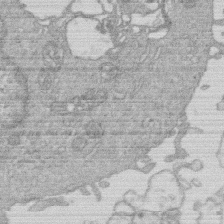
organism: Human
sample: Macrophage cells